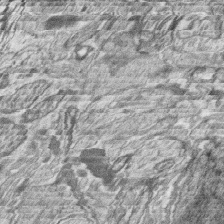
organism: Zebrafish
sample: synaptic ribbons in rod cells and cone cells